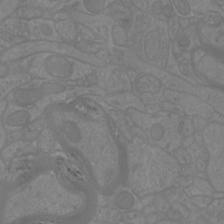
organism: Mouse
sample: Cortical neurons